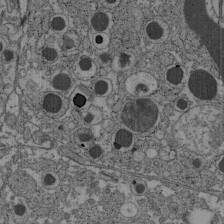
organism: C57BL Mouse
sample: Pancreatic islet